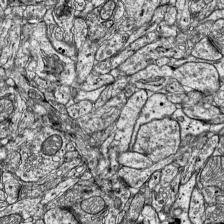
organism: Mouse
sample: Visual Cortex